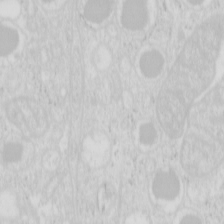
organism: Mouse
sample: Pancreas